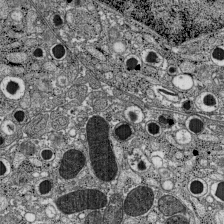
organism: C57BL Mouse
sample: Pancreatic islet